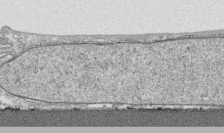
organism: Human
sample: CRL-1474